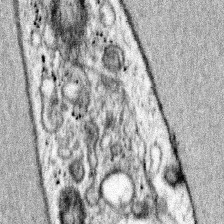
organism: Human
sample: HeLa cells